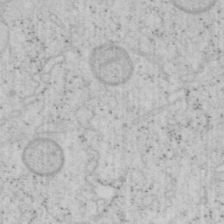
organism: Human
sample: HeLa cells